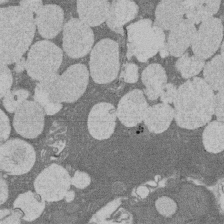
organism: Rat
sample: Salivary granule